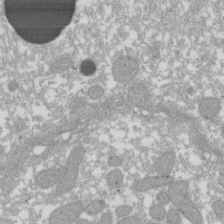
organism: Xenopus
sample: Cilia; centrioles in frog embryo cells